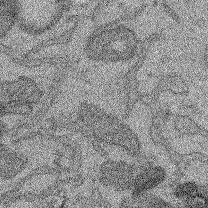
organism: Human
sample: HeLa cells